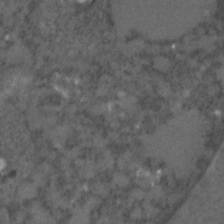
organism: C. elegans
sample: C. elegans embryo